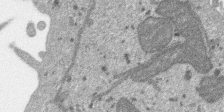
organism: Human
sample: Lung epithelial cells infected with SARS-CoV-2